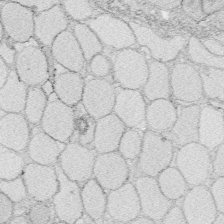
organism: Zebrafish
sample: Whole-Brain